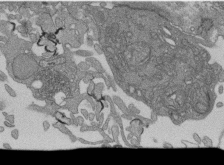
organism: Human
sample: Retinal organoid Rod and Cone cells